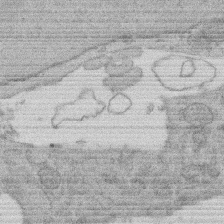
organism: Rat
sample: Salivary granule